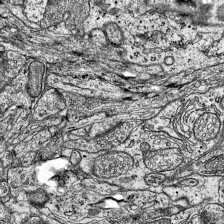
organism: Mouse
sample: Visual Cortex